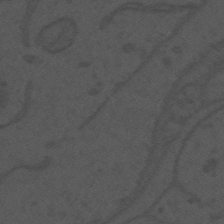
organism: Mouse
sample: Suprachiasmatic nucleus